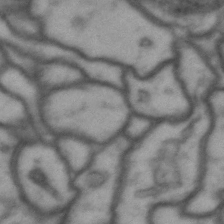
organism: Drosophila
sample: Brain